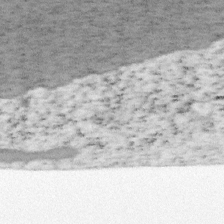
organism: Mouse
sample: OT-I killer T cells with ID8 ovarian cancer cells